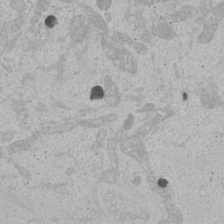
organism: Human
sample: Mitochondria in U2OS cells